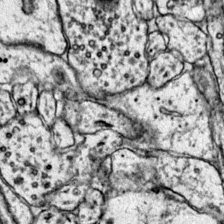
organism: Mouse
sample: Primary visual cortex